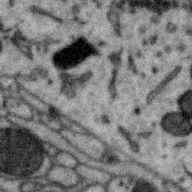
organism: Zebra finch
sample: Brain